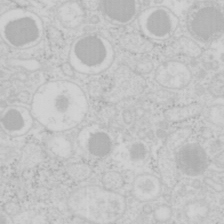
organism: Mouse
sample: Pancreas